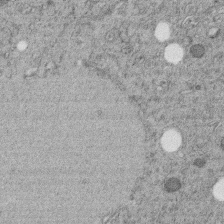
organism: C. elegans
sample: C. elegans embryo early stage